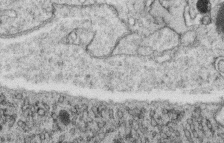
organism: C. elegans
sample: C. elegans oocyte; sperm cells